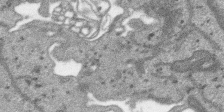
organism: Human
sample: Lung epithelial cells infected with SARS-CoV-2